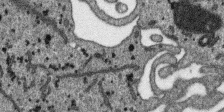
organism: Human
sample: Lung epithelial cells infected with SARS-CoV-2